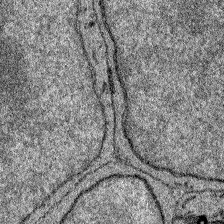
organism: Zebrafish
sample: Larval olfactory bulb